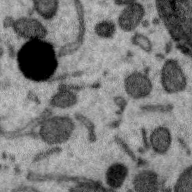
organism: Zebra finch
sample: Brain